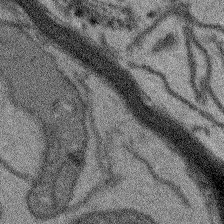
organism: Arabidopsis thaliana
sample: Root tip